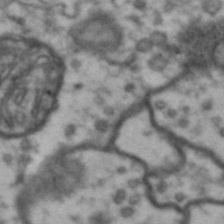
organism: Drosophila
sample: Brain